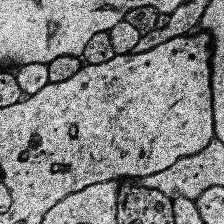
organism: Human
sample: Temporal Lobe